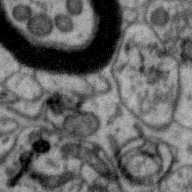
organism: Zebra finch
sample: Brain